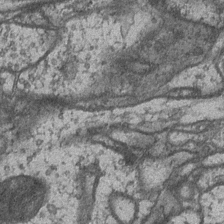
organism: Drosophila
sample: Optic medulla